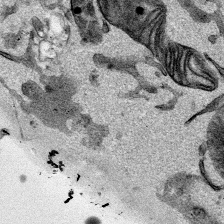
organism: Mouse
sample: Cancer cell death in ED-1 cells